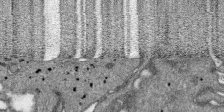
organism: Human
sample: Lung epithelial cells, uninfected (mock) control